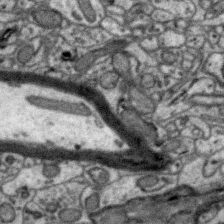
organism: Zebra finch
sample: Brain